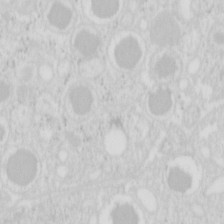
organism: Mouse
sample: Pancreas